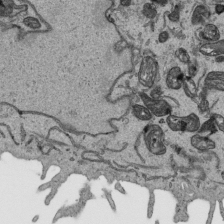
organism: Human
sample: Mitochondria in HCT116 cells